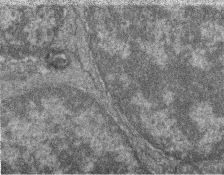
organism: Zebrafish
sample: Cilia; retinal pigment epithelium